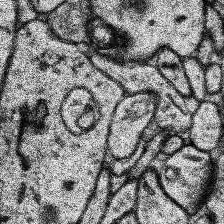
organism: Human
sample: Temporal Lobe